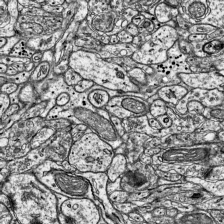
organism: Mouse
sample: Visual Cortex